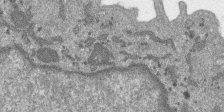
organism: Human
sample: Lung epithelial cells infected with SARS-CoV-2